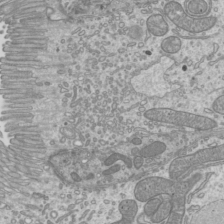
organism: Mouse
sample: Cilia; mouse epididymis